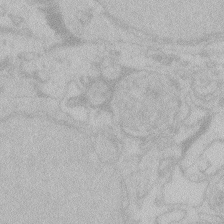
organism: Zebrafish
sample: Macrophage infected with Toxoplasma gondii